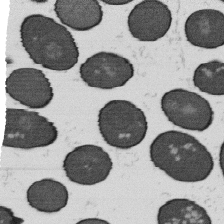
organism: B. subtilis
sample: Bacterial spore